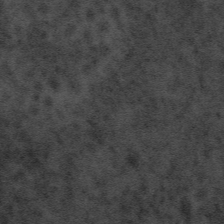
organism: Tuwongella immobilis